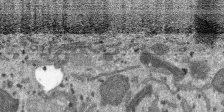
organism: Human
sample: Lung epithelial cells infected with SARS-CoV-2